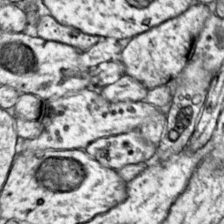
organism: Mouse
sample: Primary visual cortex